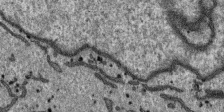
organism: Human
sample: Lung epithelial cells, uninfected (mock) control